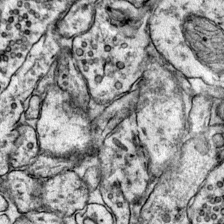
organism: Mouse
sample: Primary visual cortex